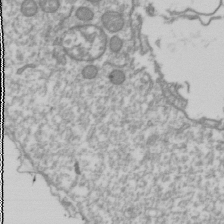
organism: Drosophila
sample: Cell division; meiosis; drosophila spermatocytes